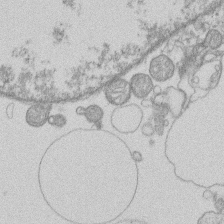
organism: Human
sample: Macrophage cells